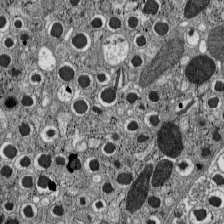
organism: C57BL Mouse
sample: Pancreatic islet